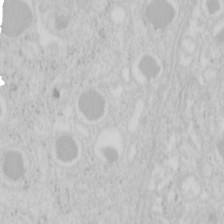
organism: Mouse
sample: Pancreas